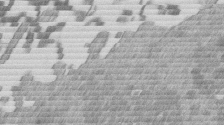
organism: Mouse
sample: Dividing mouse embryo 1 cell stage